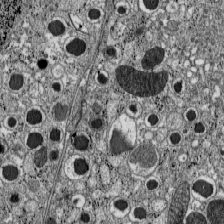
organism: C57BL Mouse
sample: Pancreatic islet